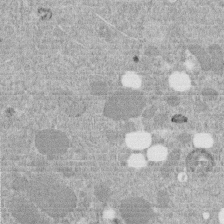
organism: C. elegans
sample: C. elegans embryo early stage